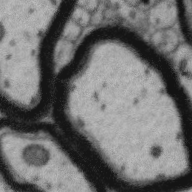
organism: Zebra finch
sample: Brain